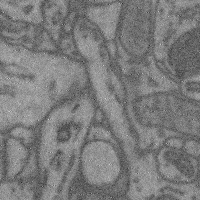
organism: Mouse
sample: Cerebral cortex